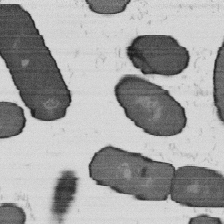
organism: B. subtilis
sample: Bacterial spore